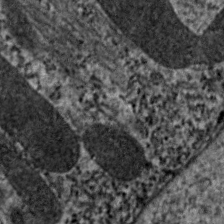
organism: C. elegans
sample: Pharynx